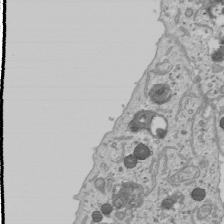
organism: Human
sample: Mitochondria in U2OS cells